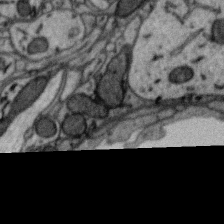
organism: Zebra finch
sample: Brain